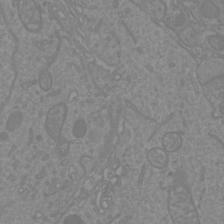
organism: Mouse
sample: Cortical neurons